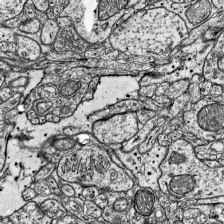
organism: Mouse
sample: Visual Cortex